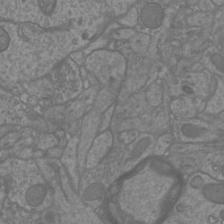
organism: Mouse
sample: Cortical neurons